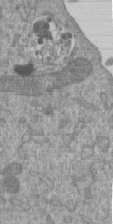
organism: Mouse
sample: ED-1 cell nuclei; centrioles